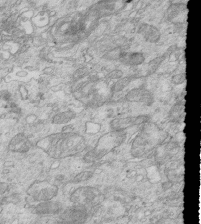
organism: Mouse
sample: Multiciliated cells